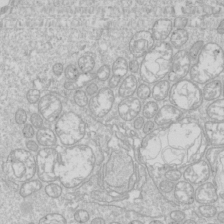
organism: Drosophila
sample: Cell division; meiosis; drosophila spermatocytes